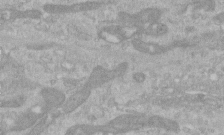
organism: Human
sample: Centriole in RPE cells